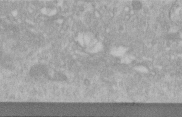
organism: Human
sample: Centriole in RPE cells